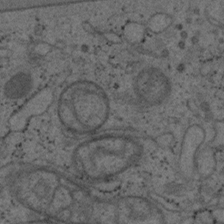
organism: Human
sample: HeLa cells